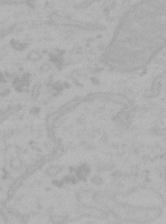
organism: Mouse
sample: Choroid plexus